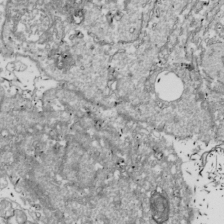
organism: Drosophila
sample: Cell division; meiosis; drosophila spermatocytes